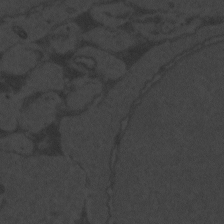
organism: Zebrafish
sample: Macrophage infected with Toxoplasma gondii